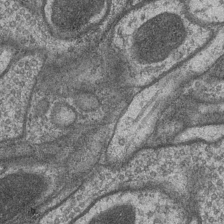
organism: Drosophila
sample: Optic medulla